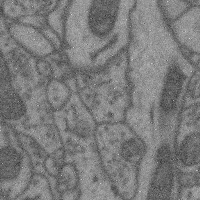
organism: Mouse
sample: Cerebral cortex